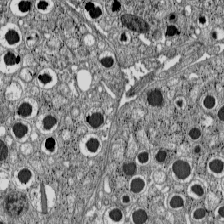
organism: C57BL Mouse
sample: Pancreatic islet